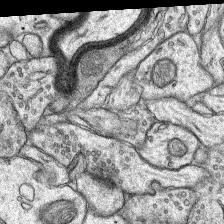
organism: Rat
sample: Hippocampus